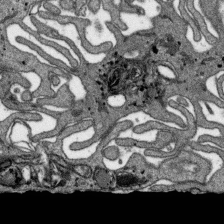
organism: Human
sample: Lung epithelial cells, uninfected (mock) control